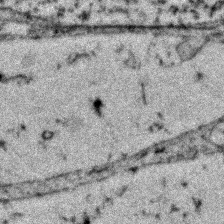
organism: Zebrafish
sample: Zebrafish embryo